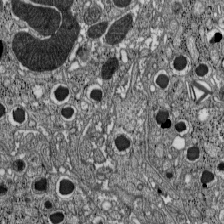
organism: C57BL Mouse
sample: Pancreatic islet